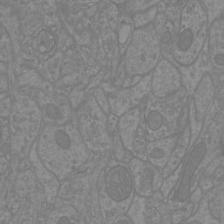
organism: Mouse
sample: Cortical neurons